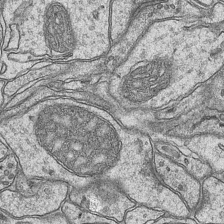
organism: Mouse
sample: CA1 Hippocampus